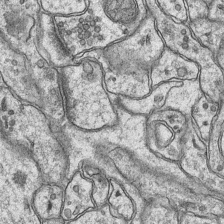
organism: Mouse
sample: CA1 Hippocampus